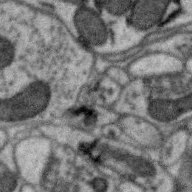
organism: Zebra finch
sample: Brain